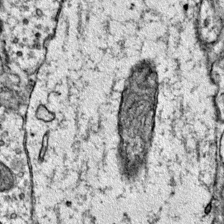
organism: Mouse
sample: Primary visual cortex